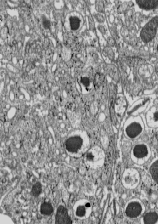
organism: C57BL Mouse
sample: Pancreatic islet